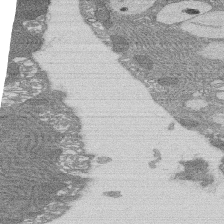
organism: Rat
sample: Salivary granule